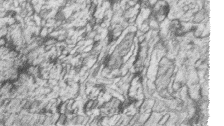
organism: Zebrafish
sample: synaptic ribbons in rod cells and cone cells